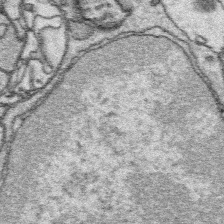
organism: Platynereis dumerilii